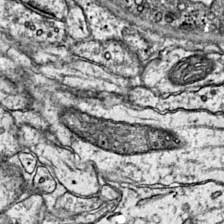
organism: Mouse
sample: Primary visual cortex